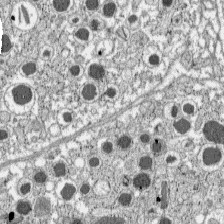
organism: C57BL Mouse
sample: Pancreatic islet